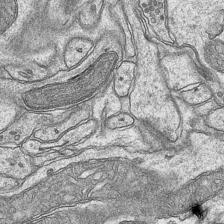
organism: Mouse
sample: CA1 Hippocampus